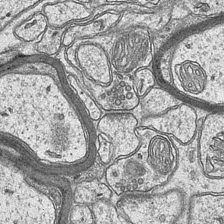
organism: Mouse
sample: CA1 Hippocampus